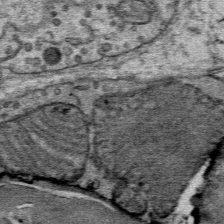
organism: Mouse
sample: Mouse Salivary gland